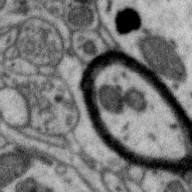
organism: Zebra finch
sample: Brain